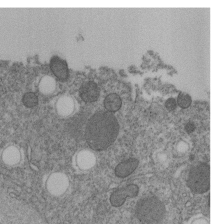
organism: C. elegans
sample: C. elegans embryo early stage